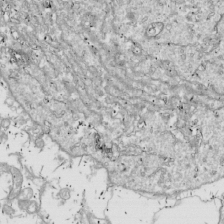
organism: Drosophila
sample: Cell division; meiosis; drosophila spermatocytes